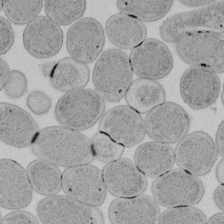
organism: E. coli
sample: Bacterial nucleoid